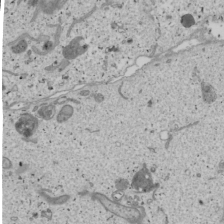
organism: Human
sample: Mitochondria in U2OS cells